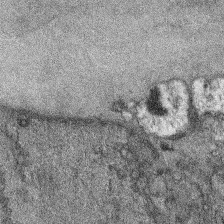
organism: Mouse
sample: Corneal nerves